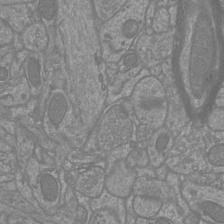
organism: Mouse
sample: Cortical neurons